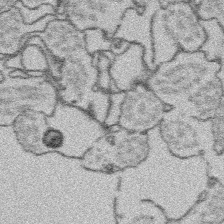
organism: Platynereis dumerilii